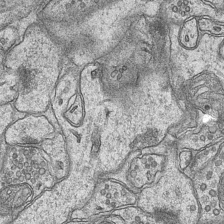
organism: Mouse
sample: CA1 Hippocampus